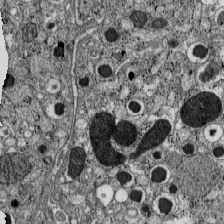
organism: C57BL Mouse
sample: Pancreatic islet